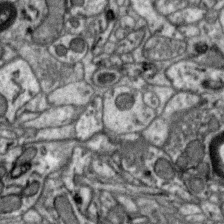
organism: Zebra finch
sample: Brain